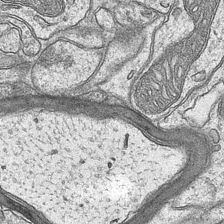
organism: Mouse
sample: CA1 Hippocampus